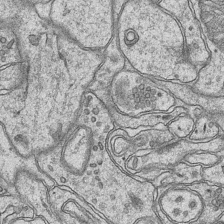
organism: Mouse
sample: CA1 Hippocampus